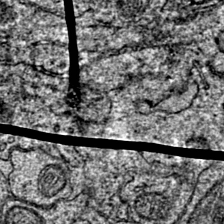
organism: Mouse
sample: Primary visual cortex